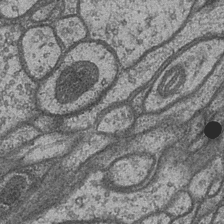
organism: Drosophila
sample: Optic medulla